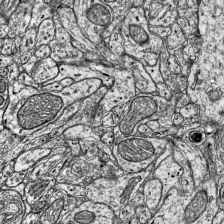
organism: Mouse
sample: Visual Cortex